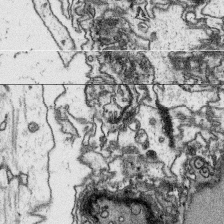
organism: Platynereis dumerilii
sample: Parapodia